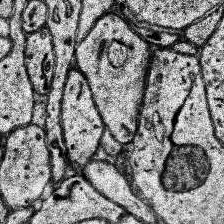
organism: Human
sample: Temporal Lobe